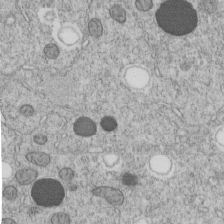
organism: C. elegans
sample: C. elegans embryo early stage